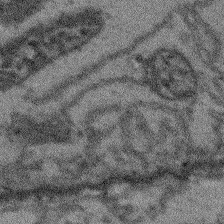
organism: Arabidopsis thaliana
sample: Root tip